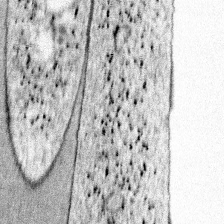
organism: Human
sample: HeLa cells